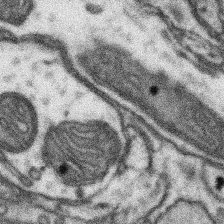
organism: Mouse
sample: Somatosensory cortex neuropil